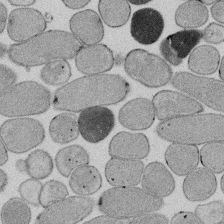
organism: E. coli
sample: Bacterial nucleoid